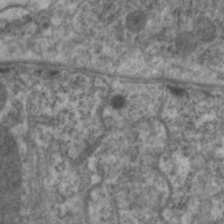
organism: C. elegans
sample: Pharynx